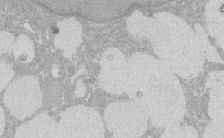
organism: Rat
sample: Salivary granule